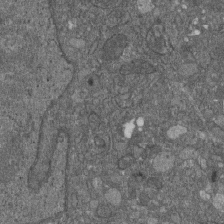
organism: Drosophila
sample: Nephrocyte